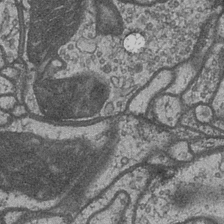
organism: Drosophila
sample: Optic medulla